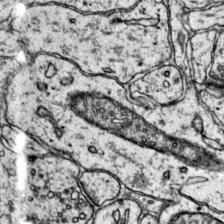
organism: Mouse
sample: Primary visual cortex